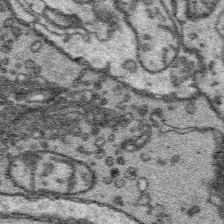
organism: Platynereis dumerilii